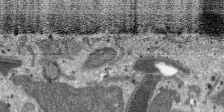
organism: Human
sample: Lung epithelial cells infected with SARS-CoV-2